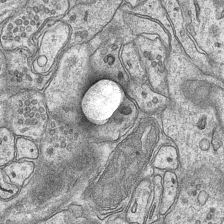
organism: Mouse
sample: CA1 Hippocampus